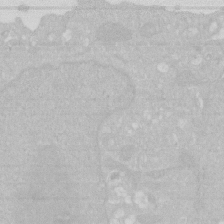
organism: Human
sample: HIV infected U937 cells